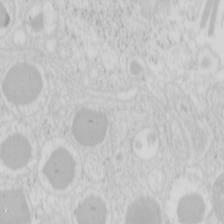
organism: Mouse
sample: Pancreas